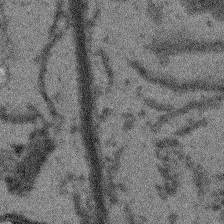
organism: Arabidopsis thaliana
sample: Root tip